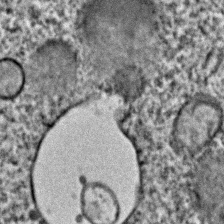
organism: C. elegans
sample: C. elegans embryo